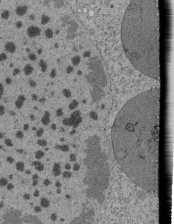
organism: Tetrahymena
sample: Cilia in tetrahymena